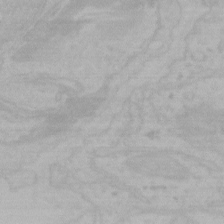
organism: Mouse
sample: Choroid plexus